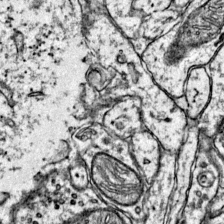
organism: Mouse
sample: Primary visual cortex